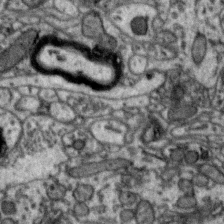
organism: Zebra finch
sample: Brain